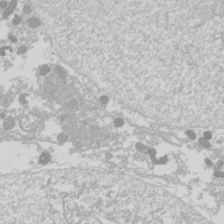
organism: Drosophila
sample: Cell division; meiosis; drosophila spermatocytes